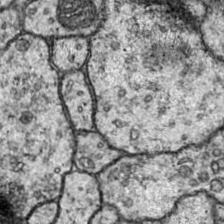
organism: Drosophila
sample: Ventral Nerve Cord